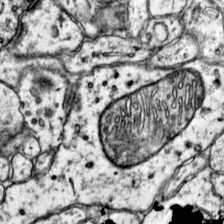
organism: Mouse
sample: Primary visual cortex